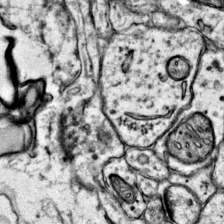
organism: Mouse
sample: Primary visual cortex